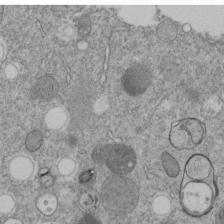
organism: C. elegans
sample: C. elegans embryo early stage